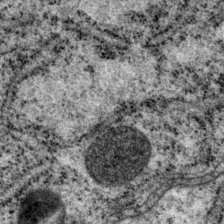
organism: P. pacificus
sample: Pharynx